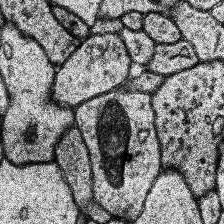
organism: Human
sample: Temporal Lobe